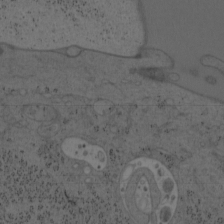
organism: Mouse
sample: OT-I killer T cells with ID8 ovarian cancer cells